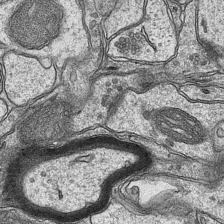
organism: Mouse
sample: CA1 Hippocampus